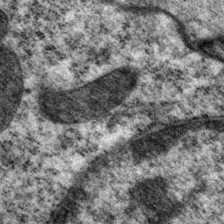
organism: P. pacificus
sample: Pharynx